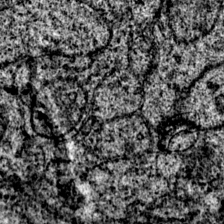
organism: Mouse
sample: Primary visual cortex